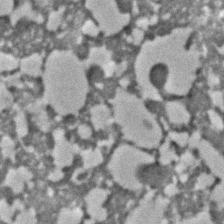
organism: C. elegans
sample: C. elegans embryo